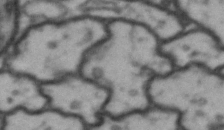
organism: Drosophila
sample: Brain